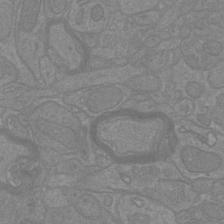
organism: Mouse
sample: Cortical neurons